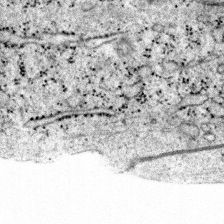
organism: Human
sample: HeLa cells